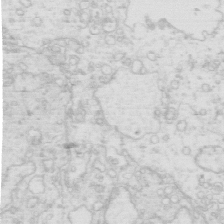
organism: Mouse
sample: Multiciliated cells